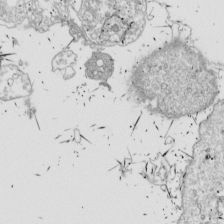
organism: Drosophila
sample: Cell division; meiosis; drosophila spermatocytes